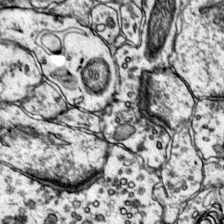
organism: Mouse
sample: Primary visual cortex